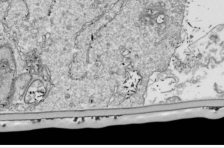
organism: Drosophila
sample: Cell division; meiosis; drosophila spermatocytes